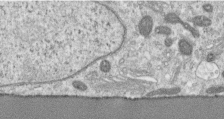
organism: Human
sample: Centriole in RPE cells